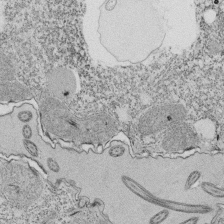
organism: Tetrahymena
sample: Cilia in tetrahymena